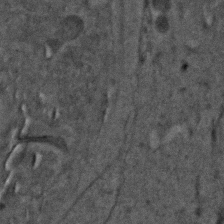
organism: C. elegans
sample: C. elegans embryo